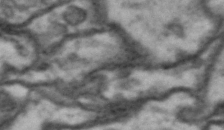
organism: Drosophila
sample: Brain